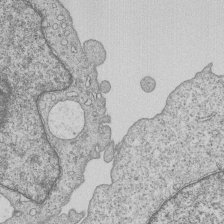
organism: Human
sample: MDA-MB-231 cells